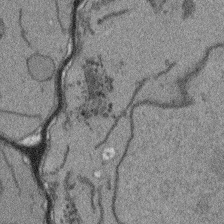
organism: Arabidopsis thaliana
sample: Root tip